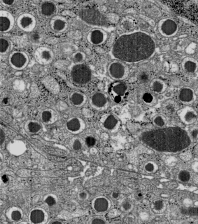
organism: C57BL Mouse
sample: Pancreatic islet